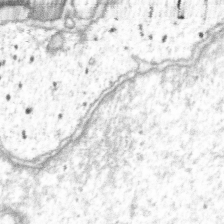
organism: Human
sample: HeLa cells